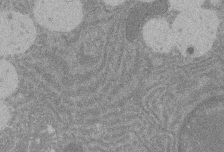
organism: Rat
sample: Salivary granule